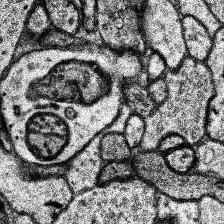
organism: Human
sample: Temporal Lobe